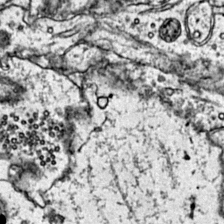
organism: Mouse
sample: Primary visual cortex